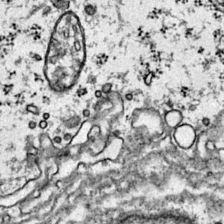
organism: Mouse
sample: Primary visual cortex